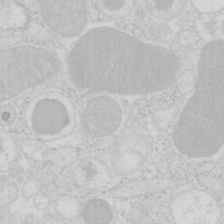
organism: Mouse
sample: Pancreas